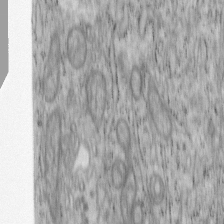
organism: Human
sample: HeLa cells